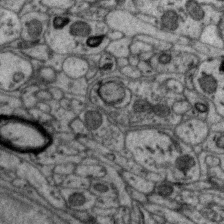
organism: Zebra finch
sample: Brain